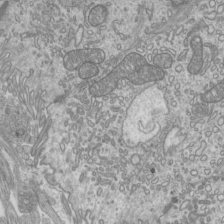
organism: Mouse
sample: Cilia; mouse epididymis